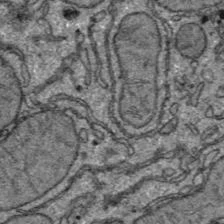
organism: C57BL Mouse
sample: Liver